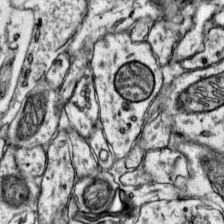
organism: Mouse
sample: Primary visual cortex